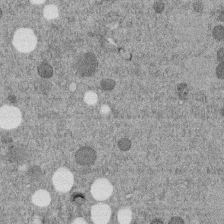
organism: C. elegans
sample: C. elegans embryo early stage